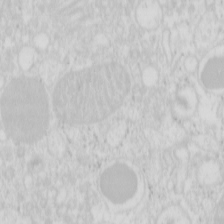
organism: Mouse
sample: Pancreas